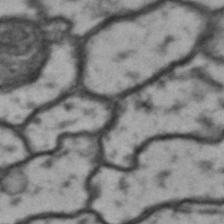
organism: Drosophila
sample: Brain